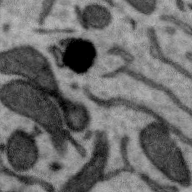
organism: Zebra finch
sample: Brain